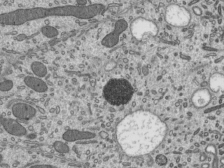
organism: Mouse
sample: Mouse epididymis efferent ductule cilia